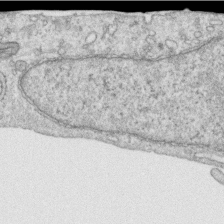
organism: Human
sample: Centriole in RPE cells